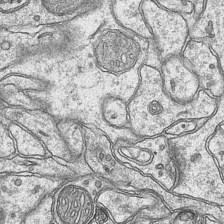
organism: Mouse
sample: CA1 Hippocampus